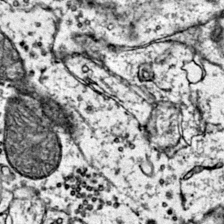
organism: Mouse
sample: Primary visual cortex